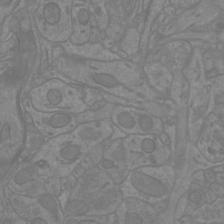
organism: Mouse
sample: Cortical neurons